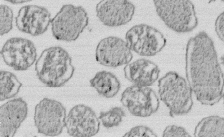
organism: E. coli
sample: Bacterial nucleoid